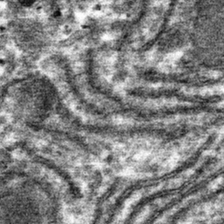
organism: Mouse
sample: Mouse hepatocytes